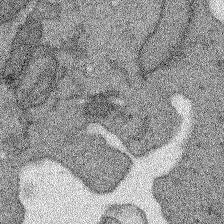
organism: Human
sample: HeLa cells